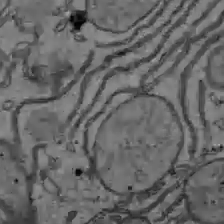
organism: C57BL Mouse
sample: Liver